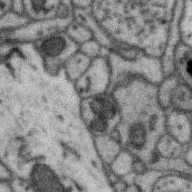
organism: Zebra finch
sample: Brain